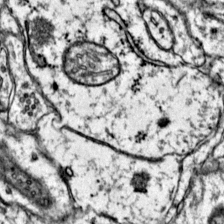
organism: Mouse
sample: Primary visual cortex